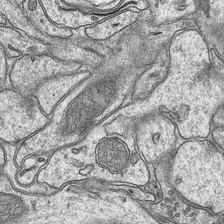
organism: Mouse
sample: CA1 Hippocampus